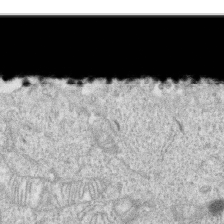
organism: Human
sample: HeLa cell HIV synapse